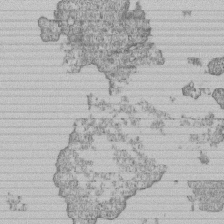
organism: Human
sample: MDA-MB-231 cells